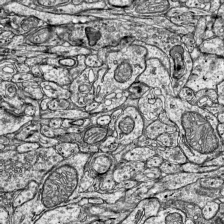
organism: Mouse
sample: Visual Cortex